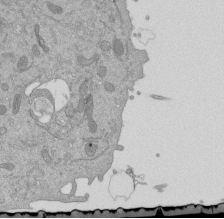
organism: Mouse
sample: ED-1 cell nuclei; centrioles